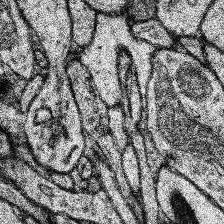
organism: Human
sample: Temporal Lobe